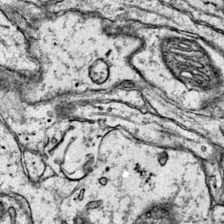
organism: Mouse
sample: Primary visual cortex